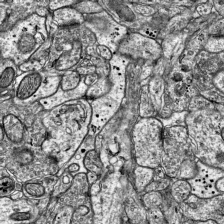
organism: Mouse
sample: Visual Cortex